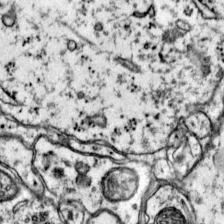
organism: Mouse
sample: Primary visual cortex